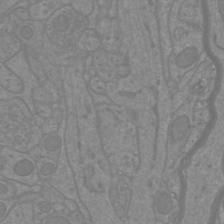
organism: Mouse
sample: Cortical neurons